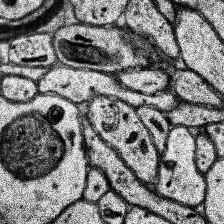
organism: Human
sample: Temporal Lobe